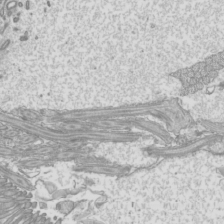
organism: Mouse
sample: Cilia; mouse epididymis